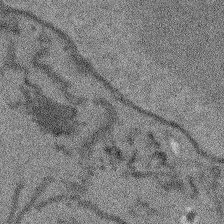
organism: Arabidopsis thaliana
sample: Root tip